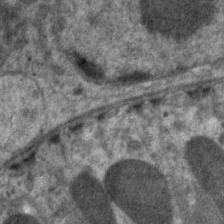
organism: C. elegans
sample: Pharynx